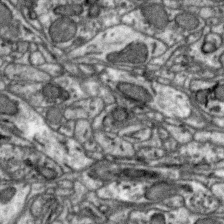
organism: Zebra finch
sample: Brain